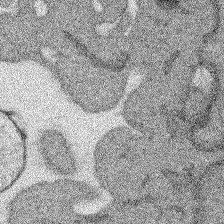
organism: Human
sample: HeLa cells